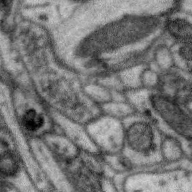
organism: Zebra finch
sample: Brain